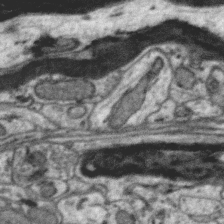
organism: Zebra finch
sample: Brain